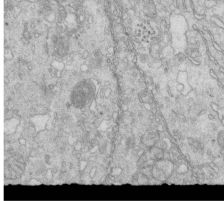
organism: Mouse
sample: Multiciliated cells